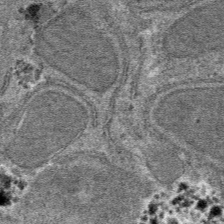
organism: Mouse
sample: Mouse hepatocytes